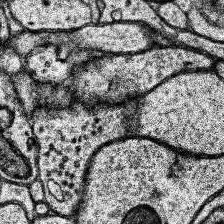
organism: Human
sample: Temporal Lobe